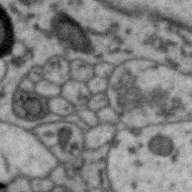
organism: Zebra finch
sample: Brain